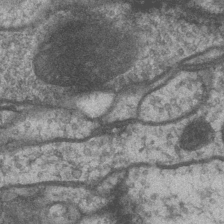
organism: Drosophila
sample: Optic medulla